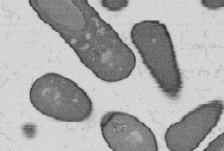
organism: B. subtilis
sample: Bacterial spore